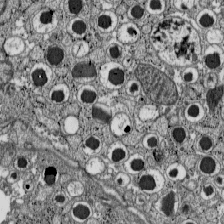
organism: C57BL Mouse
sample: Pancreatic islet